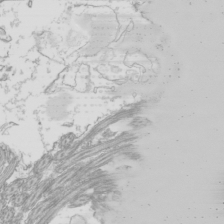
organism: Mouse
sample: Cilia; mouse epididymis